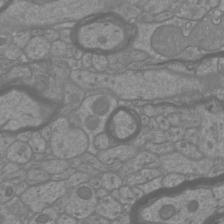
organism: Mouse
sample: Cortical neurons